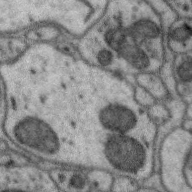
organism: Zebra finch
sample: Brain